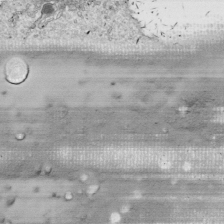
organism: Drosophila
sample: Cell division; meiosis; drosophila spermatocytes